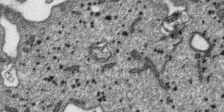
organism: Human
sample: Lung epithelial cells infected with SARS-CoV-2